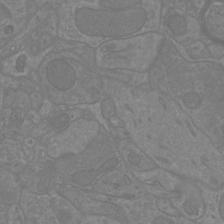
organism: Mouse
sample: Cortical neurons